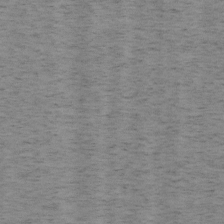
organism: Mouse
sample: OT-I killer T cells with ID8 ovarian cancer cells